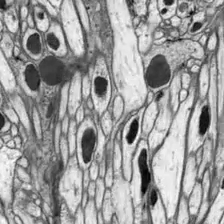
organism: Drosophila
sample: Optic lobe